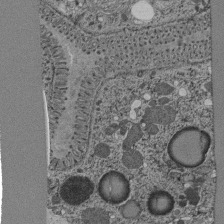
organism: C. elegans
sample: C. elegans pharynx